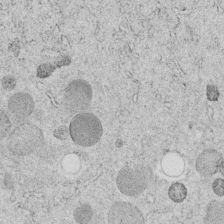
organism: C. elegans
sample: C. elegans embryo early stage